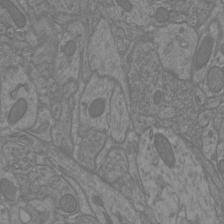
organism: Mouse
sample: Cortical neurons